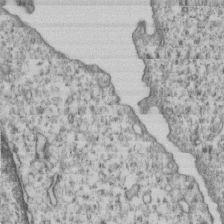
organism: Human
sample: MDA-MB-231 cells